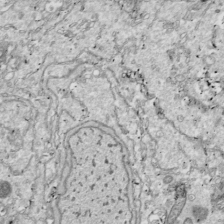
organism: Drosophila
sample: Cell division; meiosis; drosophila spermatocytes